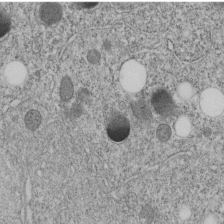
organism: C. elegans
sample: C. elegans embryo early stage